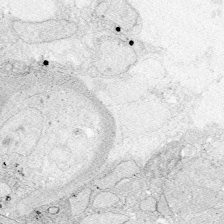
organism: Zebrafish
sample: Whole-Brain